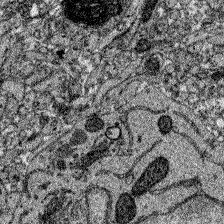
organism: Zebrafish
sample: Larval olfactory bulb